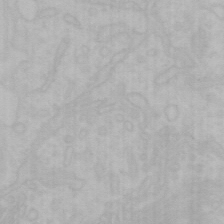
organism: Mouse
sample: Choroid plexus